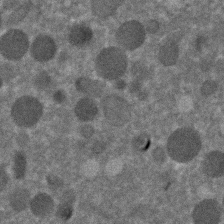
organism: C. elegans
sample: C. elegans embryo